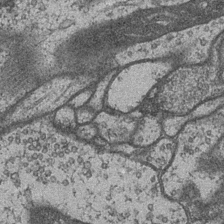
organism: Drosophila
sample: Optic medulla